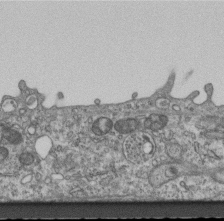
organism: Mouse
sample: Centriole in ependymal cells